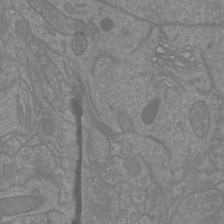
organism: Mouse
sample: Cortical neurons